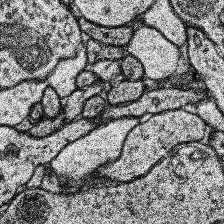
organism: Human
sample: Temporal Lobe